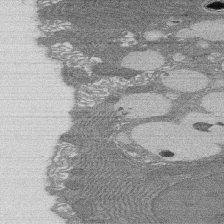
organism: Rat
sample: Salivary granule